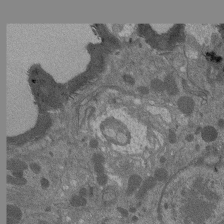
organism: Drosophila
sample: Antenna